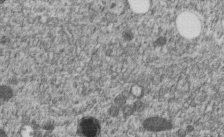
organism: C. elegans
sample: C. elegans embryo early stage